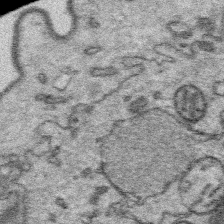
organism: Platynereis dumerilii